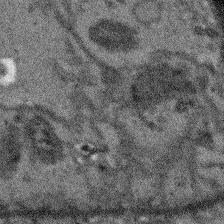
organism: Arabidopsis thaliana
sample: Root tip